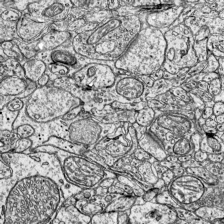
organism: Mouse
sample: Visual Cortex